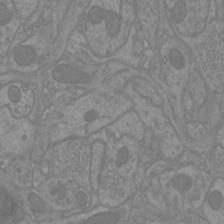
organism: Mouse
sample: Cortical neurons